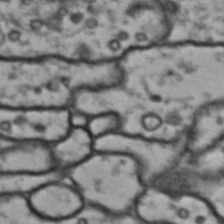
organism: Drosophila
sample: Brain